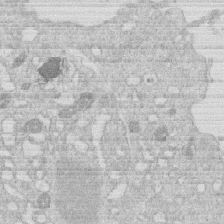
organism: Human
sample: Macrophage cells